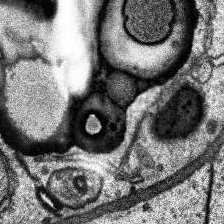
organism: Human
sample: Temporal Lobe